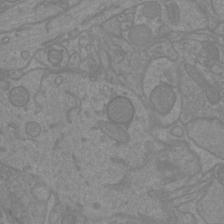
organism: Mouse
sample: Cortical neurons